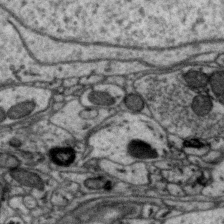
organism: Zebra finch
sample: Brain